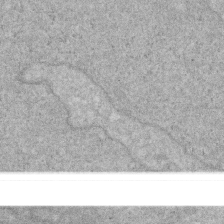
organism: Human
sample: HIV infected U937 cells